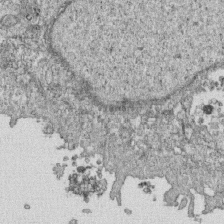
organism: Human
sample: HeLa cell HIV synapse